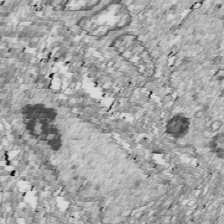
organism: Drosophila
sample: Cell division; meiosis; drosophila spermatocytes